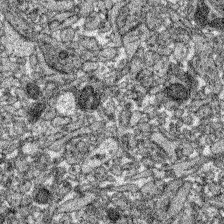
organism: Zebrafish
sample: Larval olfactory bulb